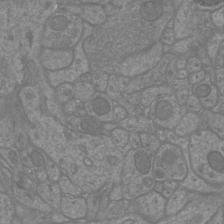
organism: Mouse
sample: Cortical neurons